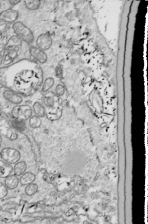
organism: Drosophila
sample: Cell division; meiosis; drosophila spermatocytes